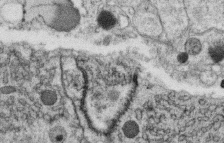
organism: C. elegans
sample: C. elegans oocyte; sperm cells